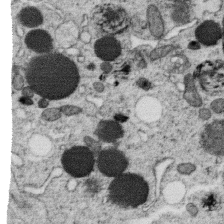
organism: C. elegans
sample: C. elegans oocyte; sperm cells